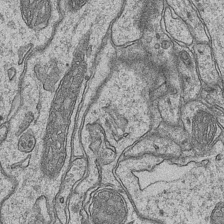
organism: Mouse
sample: CA1 Hippocampus